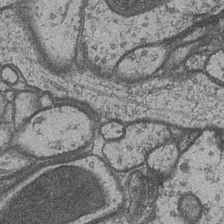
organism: Drosophila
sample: Optic medulla